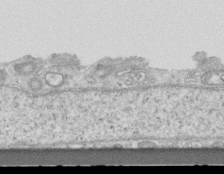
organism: Mouse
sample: Centriole in ependymal cells